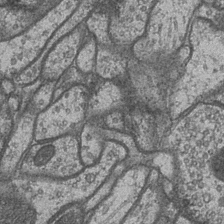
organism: Drosophila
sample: Optic medulla